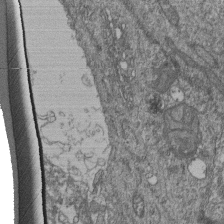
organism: Human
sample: Retinal organoid Rod and Cone cells